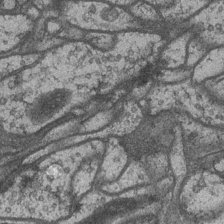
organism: Drosophila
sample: Optic medulla